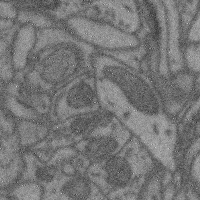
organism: Mouse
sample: Cerebral cortex